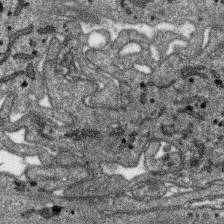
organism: Human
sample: Lung epithelial cells infected with SARS-CoV-2